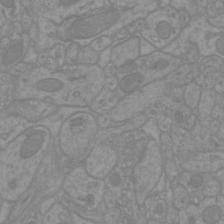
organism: Mouse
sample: Cortical neurons